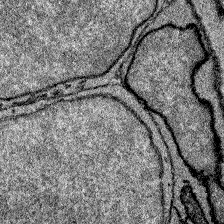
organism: Zebrafish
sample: Larval olfactory bulb